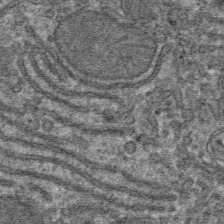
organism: Mouse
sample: Mouse hepatocytes